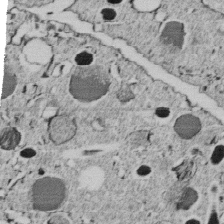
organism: C. elegans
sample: C. elegans embryo early stage